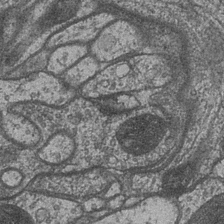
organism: Drosophila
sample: Optic medulla